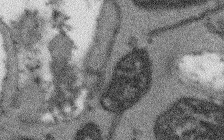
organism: Arabidopsis thaliana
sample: Root tip